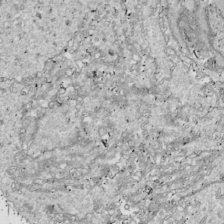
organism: Drosophila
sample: Cell division; meiosis; drosophila spermatocytes